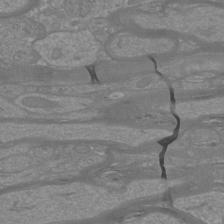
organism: Mouse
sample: Cortical neurons